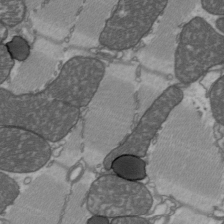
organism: C57BL Mouse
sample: Heart